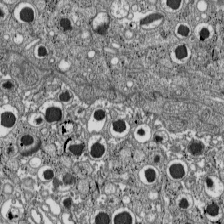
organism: C57BL Mouse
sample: Pancreatic islet